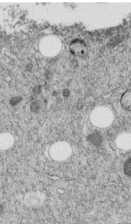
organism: C. elegans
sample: C. elegans embryo early stage